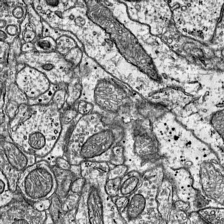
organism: Mouse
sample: Visual Cortex